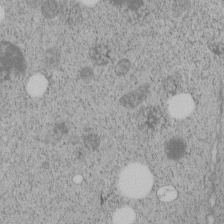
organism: C. elegans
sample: C. elegans embryo early stage